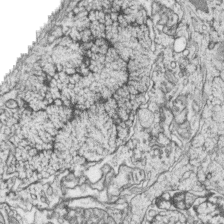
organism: Zebrafish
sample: synaptic ribbons in rod cells and cone cells